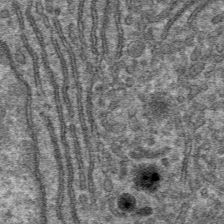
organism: Mouse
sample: Mouse hepatocytes